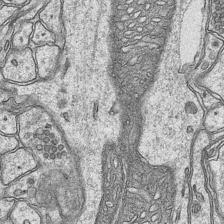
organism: Mouse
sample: CA1 Hippocampus